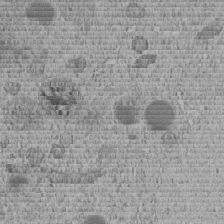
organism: C. elegans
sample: C. elegans embryo early stage